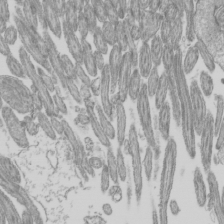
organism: Mouse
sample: Cilia; mouse epididymis